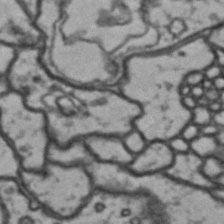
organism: Drosophila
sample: Brain